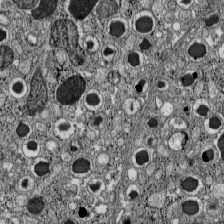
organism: C57BL Mouse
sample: Pancreatic islet